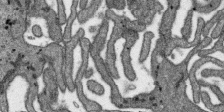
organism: Human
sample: Lung epithelial cells, uninfected (mock) control